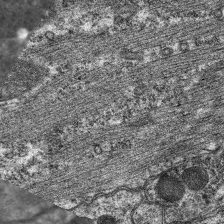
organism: C. elegans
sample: Pharynx